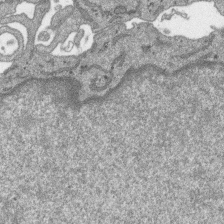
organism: Human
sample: Lung epithelial cells infected with SARS-CoV-2